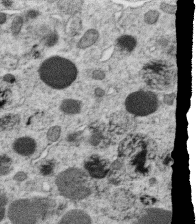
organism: C. elegans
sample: C. elegans oocyte; sperm cells